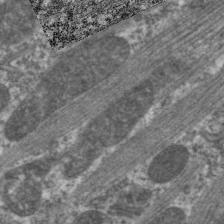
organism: C. elegans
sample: Pharynx